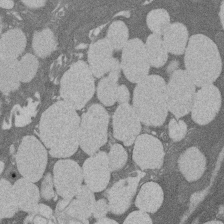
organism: Rat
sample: Salivary granule